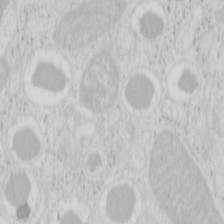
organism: Mouse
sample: Pancreas